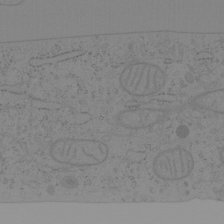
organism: Human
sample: HeLa cells